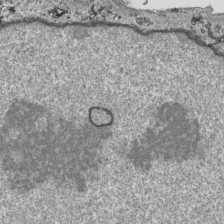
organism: Human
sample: Mitochondria in HCT116 cells